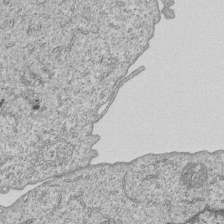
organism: Human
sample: MDA-MB-231 cells